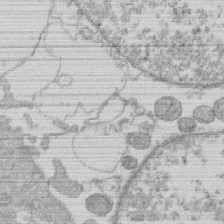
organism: Human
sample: Macrophage cells